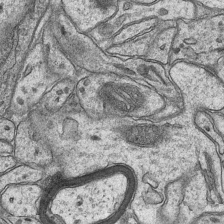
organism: Mouse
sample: CA1 Hippocampus